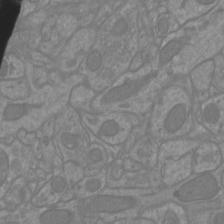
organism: Mouse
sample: Cortical neurons